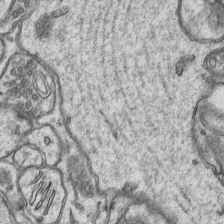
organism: Mouse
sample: CA1 Hippocampus